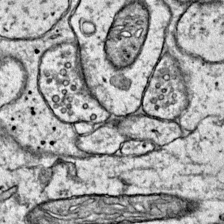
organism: Mouse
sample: Primary visual cortex